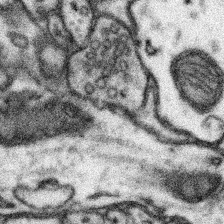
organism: Mouse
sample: Somatosensory cortex neuropil